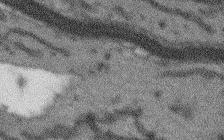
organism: Arabidopsis thaliana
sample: Root tip